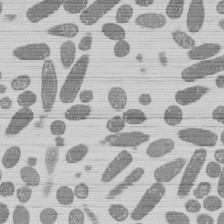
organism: E. coli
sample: Bacterial nucleoid